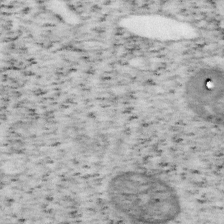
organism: Mouse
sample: OT-I killer T cells with ID8 ovarian cancer cells